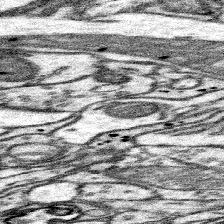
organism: Mouse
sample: Somatosensory cortex neuropil